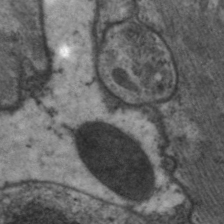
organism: C. elegans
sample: Pharynx